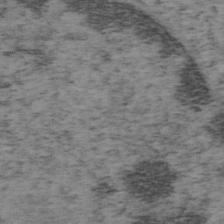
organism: Mouse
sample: OT-I killer T cells with ID8 ovarian cancer cells